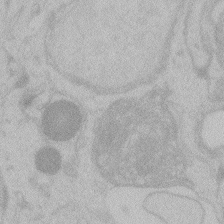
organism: Zebrafish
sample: Macrophage infected with Toxoplasma gondii